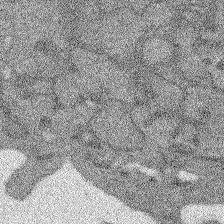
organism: Human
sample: HeLa cells